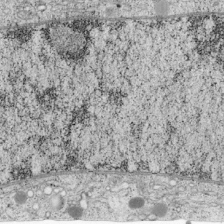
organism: African green monkey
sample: COS-7 cells